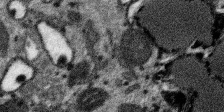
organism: Human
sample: Lung epithelial cells infected with SARS-CoV-2